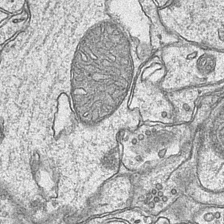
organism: Mouse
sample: CA1 Hippocampus